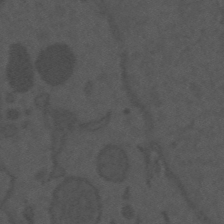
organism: Mouse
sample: Suprachiasmatic nucleus